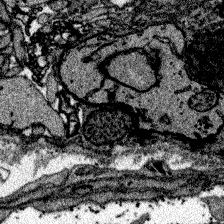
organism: Zebrafish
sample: Larval olfactory bulb